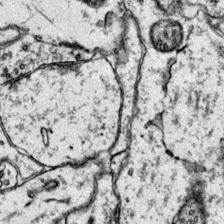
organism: Mouse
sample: Primary visual cortex